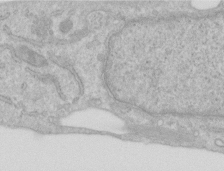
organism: Human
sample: Centriole in RPE cells